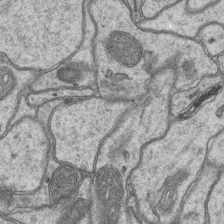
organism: Mouse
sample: CA1 Hippocampus